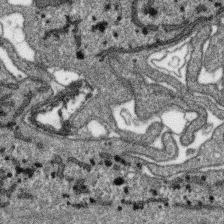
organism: Human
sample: Lung epithelial cells infected with SARS-CoV-2